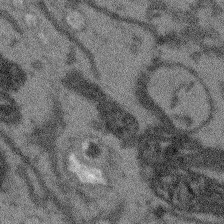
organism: Arabidopsis thaliana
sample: Root tip